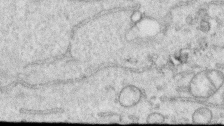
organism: Human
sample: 1205lu cells